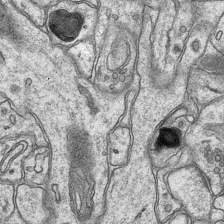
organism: Mouse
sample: CA1 Hippocampus